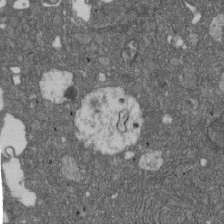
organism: Drosophila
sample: Nephrocyte